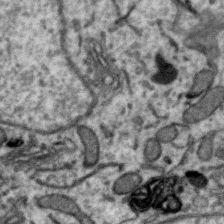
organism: Zebra finch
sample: Brain